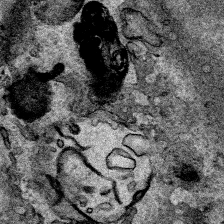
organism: Human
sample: Mitochondria in HCT116 cells